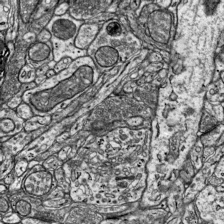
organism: Mouse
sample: Visual Cortex